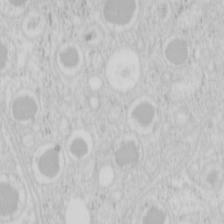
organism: Mouse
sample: Pancreas